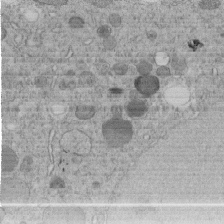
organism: C. elegans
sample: C. elegans embryo early stage